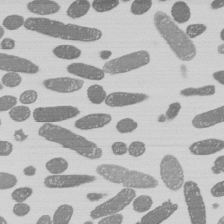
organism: E. coli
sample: Bacterial nucleoid